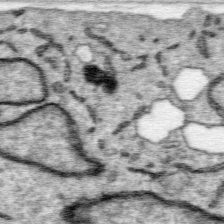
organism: Human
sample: HeLa cells